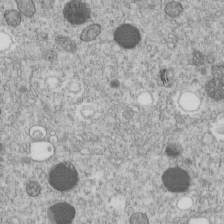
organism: C. elegans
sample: C. elegans embryo early stage